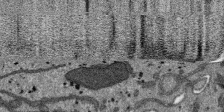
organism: Human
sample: Lung epithelial cells, uninfected (mock) control